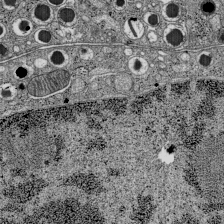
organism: C57BL Mouse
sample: Pancreatic islet